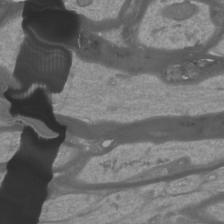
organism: Mouse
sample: Cortical neurons